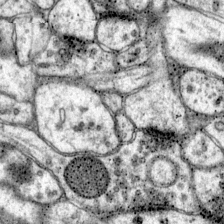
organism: Mouse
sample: Primary visual cortex